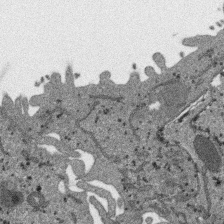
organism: Human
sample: Lung epithelial cells infected with SARS-CoV-2